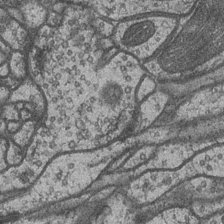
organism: Drosophila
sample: Optic medulla